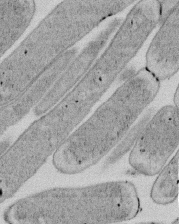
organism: E. coli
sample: Bacterial nucleoid